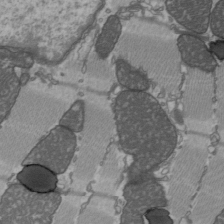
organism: C57BL Mouse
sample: Heart